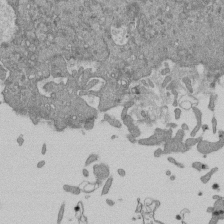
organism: Mouse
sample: ED-1 cell nuclei; centrioles